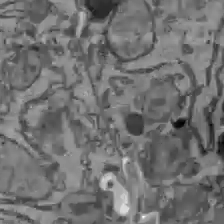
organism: C57BL Mouse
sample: Liver